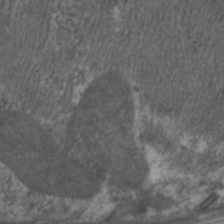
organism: C. elegans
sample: Pharynx